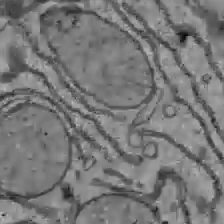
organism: C57BL Mouse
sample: Liver